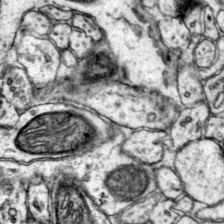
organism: Mouse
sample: Primary visual cortex